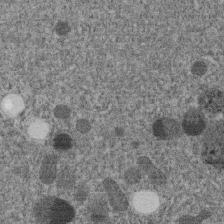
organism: C. elegans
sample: C. elegans embryo early stage